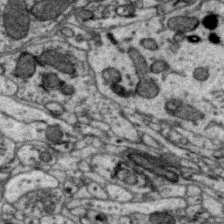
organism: Zebra finch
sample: Brain